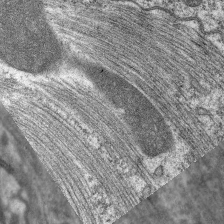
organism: C. elegans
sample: Pharynx